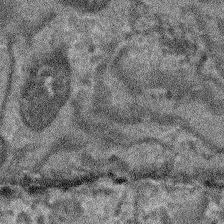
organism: Arabidopsis thaliana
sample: Root tip